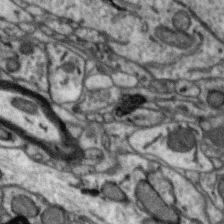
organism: Zebra finch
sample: Brain